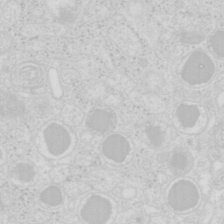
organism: Mouse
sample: Pancreas